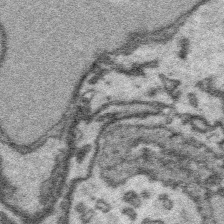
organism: Platynereis dumerilii